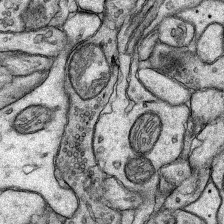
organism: Rat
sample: Hippocampus